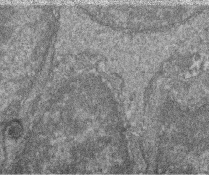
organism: Zebrafish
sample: Cilia; retinal pigment epithelium